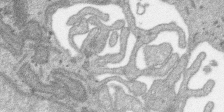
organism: Human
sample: Lung epithelial cells infected with SARS-CoV-2